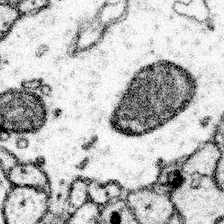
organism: Mouse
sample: Somatosensory cortex neuropil